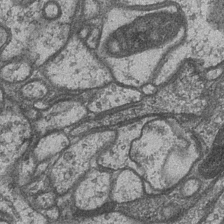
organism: Drosophila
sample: Optic medulla